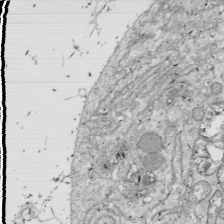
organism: Drosophila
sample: Cell division; meiosis; drosophila spermatocytes